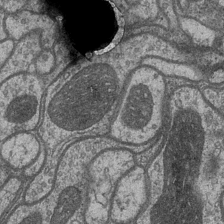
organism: Drosophila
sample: Optic medulla